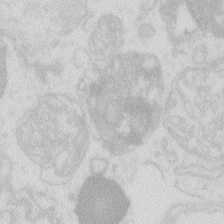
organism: Zebrafish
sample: Macrophage